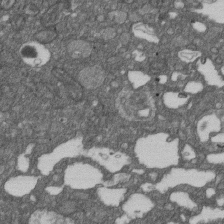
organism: Drosophila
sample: Nephrocyte